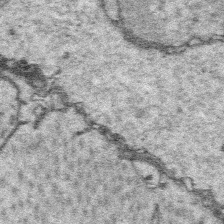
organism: Platynereis dumerilii